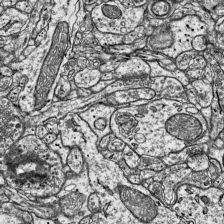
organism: Mouse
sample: Visual Cortex